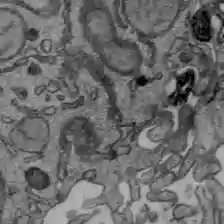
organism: C57BL Mouse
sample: Liver